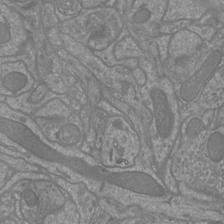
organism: Mouse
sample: Cortical neurons